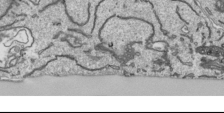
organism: Human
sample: Mitochondria in HCT116 cells